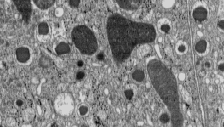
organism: C57BL Mouse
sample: Pancreatic islet